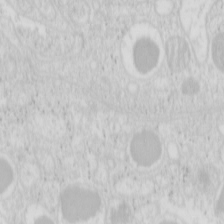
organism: Mouse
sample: Pancreas